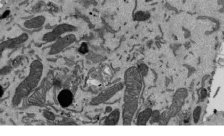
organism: Mouse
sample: ED-1 cell nuclei; centrioles